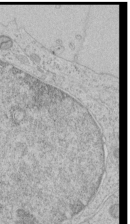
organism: Human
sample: Mitochondria in HCT116 cells